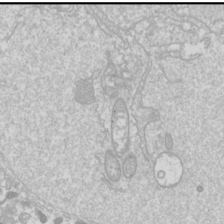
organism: Drosophila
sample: Cell division; meiosis; drosophila spermatocytes